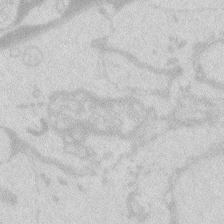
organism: Zebrafish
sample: Macrophage